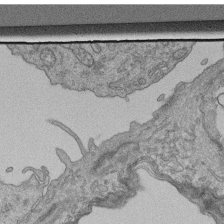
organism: Human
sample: Retinal organoid Rod and Cone cells